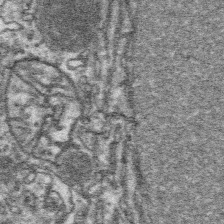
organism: Platynereis dumerilii